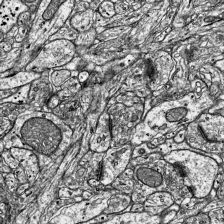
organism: Mouse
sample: Visual Cortex